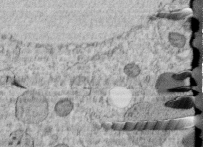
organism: C. elegans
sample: C. elegans embryo early stage